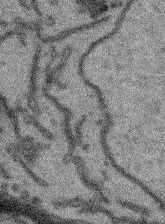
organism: Arabidopsis thaliana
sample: Root tip